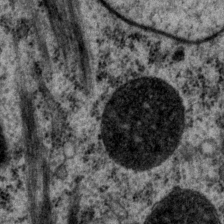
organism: P. pacificus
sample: Pharynx